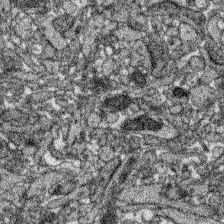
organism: Zebrafish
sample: Larval olfactory bulb